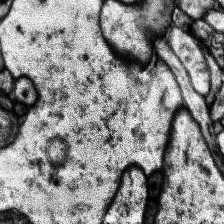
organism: Human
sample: Temporal Lobe